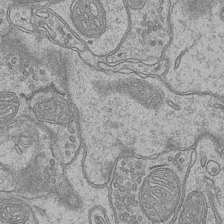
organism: Mouse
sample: CA1 Hippocampus